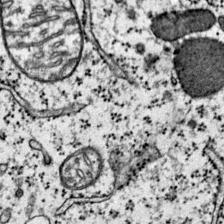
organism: Mouse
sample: Primary visual cortex